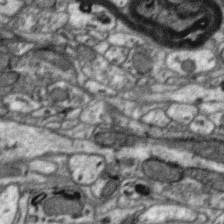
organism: Zebra finch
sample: Brain